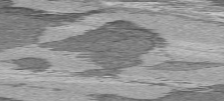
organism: C57BL Mouse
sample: Heart